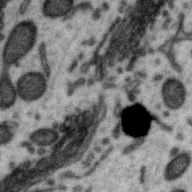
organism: Zebra finch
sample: Brain